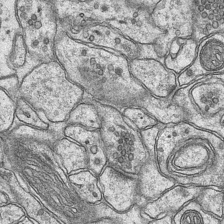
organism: Mouse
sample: CA1 Hippocampus